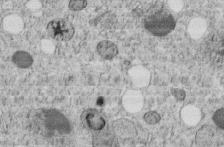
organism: C. elegans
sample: C. elegans embryo early stage